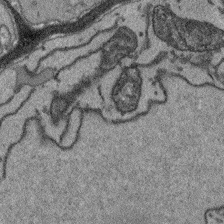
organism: Arabidopsis thaliana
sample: Root tip